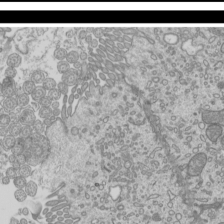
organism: Mouse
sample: Cilia; mouse epididymis